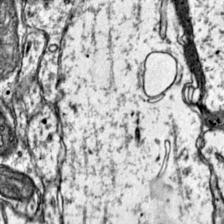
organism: Mouse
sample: Primary visual cortex